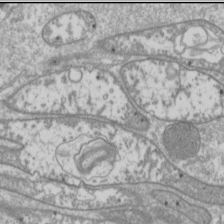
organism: Drosophila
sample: Cell division; meiosis; drosophila spermatocytes